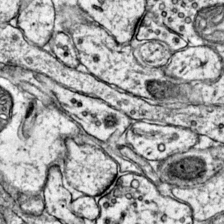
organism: Mouse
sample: Primary visual cortex